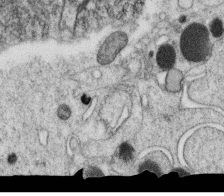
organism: C. elegans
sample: C. elegans oocyte; sperm cells